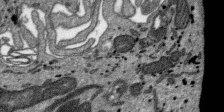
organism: Human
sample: Lung epithelial cells, uninfected (mock) control